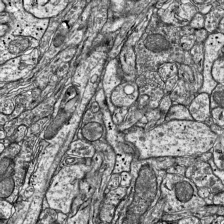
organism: Mouse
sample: Visual Cortex